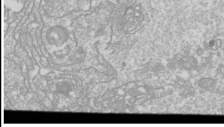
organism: Drosophila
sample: Cell division; meiosis; drosophila spermatocytes